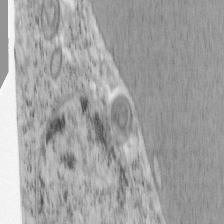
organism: Human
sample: HeLa cells